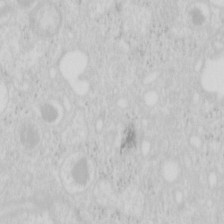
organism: Mouse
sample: Pancreas